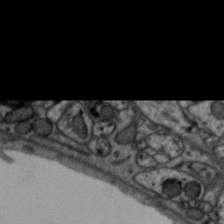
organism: Zebra finch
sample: Brain